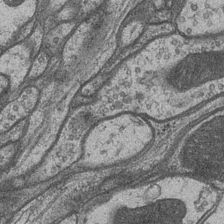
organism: Drosophila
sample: Optic medulla